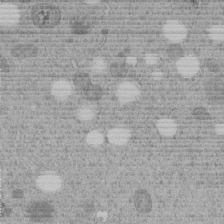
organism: C. elegans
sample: C. elegans embryo early stage